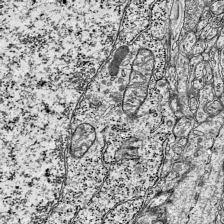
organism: Mouse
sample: Visual Cortex